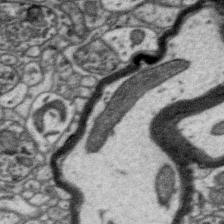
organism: Zebra finch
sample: Brain